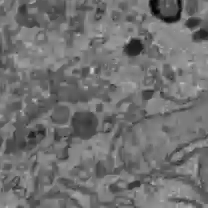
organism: C57BL Mouse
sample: Liver